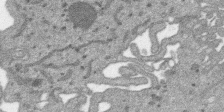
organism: Human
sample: Lung epithelial cells infected with SARS-CoV-2